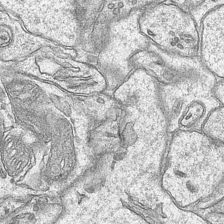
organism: Mouse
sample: CA1 Hippocampus